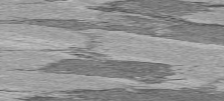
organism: C57BL Mouse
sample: Heart